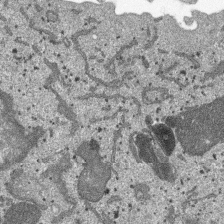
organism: Human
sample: Lung epithelial cells infected with SARS-CoV-2